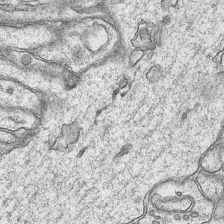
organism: Mouse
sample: CA1 Hippocampus